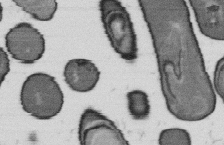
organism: B. subtilis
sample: Bacterial spore